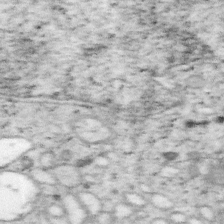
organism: Mouse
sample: OT-I killer T cells with ID8 ovarian cancer cells